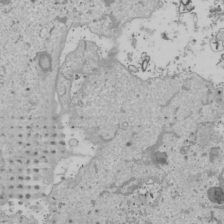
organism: Human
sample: Mitochondria in U2OS cells